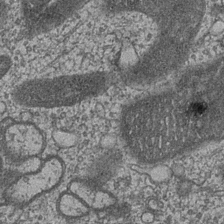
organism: Drosophila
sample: Optic medulla